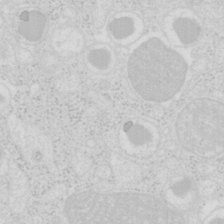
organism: Mouse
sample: Pancreas